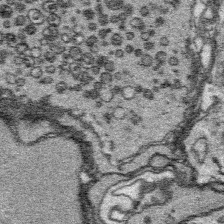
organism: Platynereis dumerilii